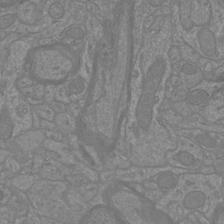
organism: Mouse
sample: Cortical neurons